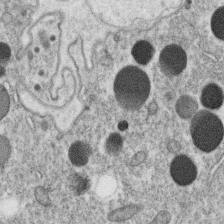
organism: C. elegans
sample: C. elegans oocyte; sperm cells